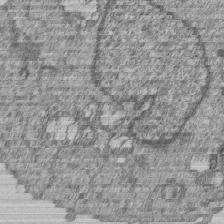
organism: Human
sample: MDA-MB-231 cells